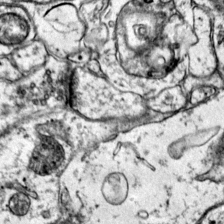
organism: Mouse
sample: Primary visual cortex